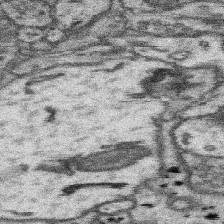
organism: Mouse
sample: Somatosensory cortex neuropil